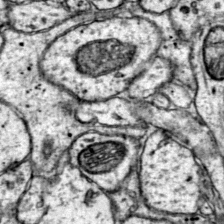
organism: Mouse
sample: Primary visual cortex